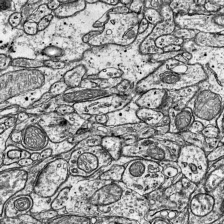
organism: Mouse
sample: Visual Cortex